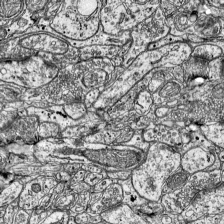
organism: Mouse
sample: Visual Cortex